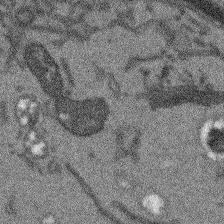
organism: Arabidopsis thaliana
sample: Root tip